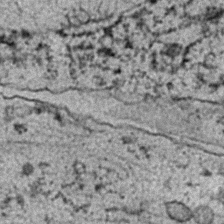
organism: C. elegans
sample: C. elegans embryo